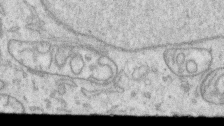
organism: Human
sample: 1205lu cells